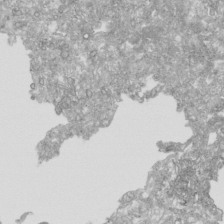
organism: Human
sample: Mitochondria in HCT116 cells